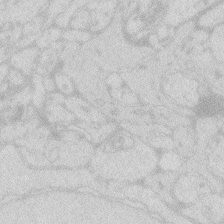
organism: Zebrafish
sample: Macrophage